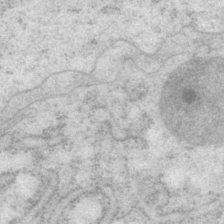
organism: P. pacificus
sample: Pharynx